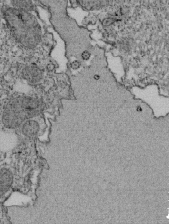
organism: Tetrahymena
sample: Cilia in tetrahymena